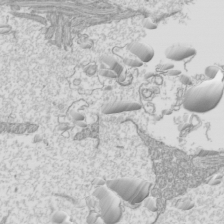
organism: Mouse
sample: Cilia; mouse epididymis